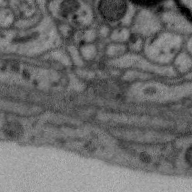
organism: Zebra finch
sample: Brain